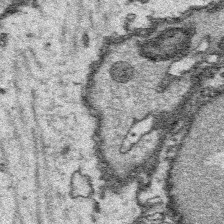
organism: Platynereis dumerilii